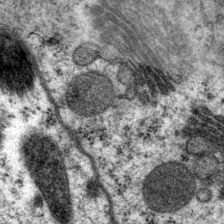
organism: P. pacificus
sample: Pharynx